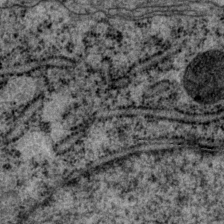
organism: P. pacificus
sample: Pharynx